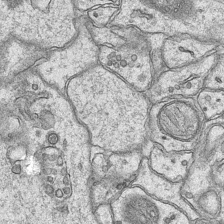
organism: Mouse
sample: CA1 Hippocampus